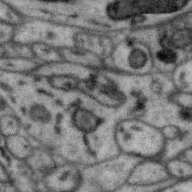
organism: Zebra finch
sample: Brain